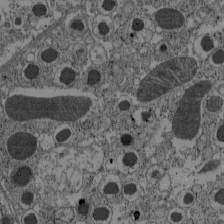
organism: C57BL Mouse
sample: Pancreatic islet